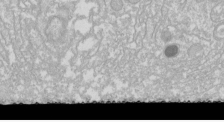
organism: Drosophila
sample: Cell division; meiosis; drosophila spermatocytes